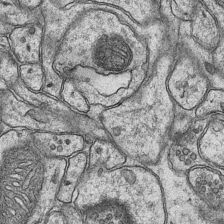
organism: Mouse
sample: CA1 Hippocampus